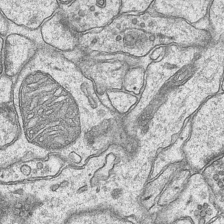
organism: Mouse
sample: CA1 Hippocampus